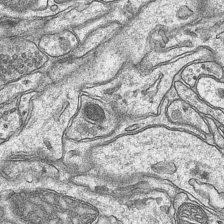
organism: Mouse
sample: CA1 Hippocampus